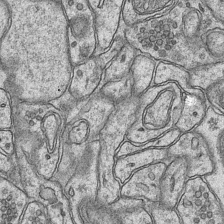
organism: Mouse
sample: CA1 Hippocampus